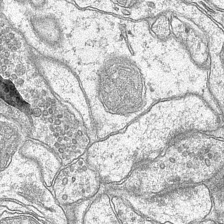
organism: Mouse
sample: CA1 Hippocampus